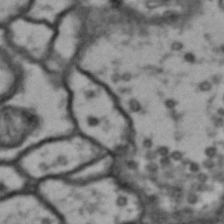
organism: Drosophila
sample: Brain